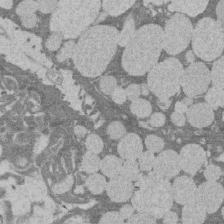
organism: Rat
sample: Salivary granule